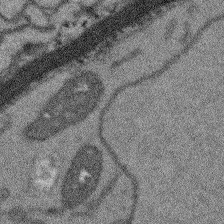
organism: Arabidopsis thaliana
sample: Root tip